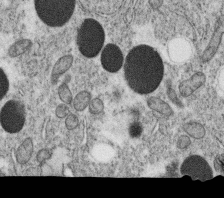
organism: C. elegans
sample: C. elegans oocyte; sperm cells